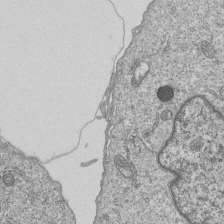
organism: Human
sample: MDA-MB-231 cells